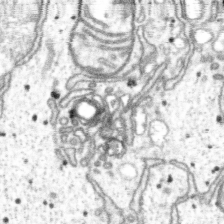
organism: Human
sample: HeLa cells